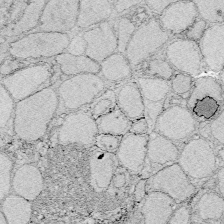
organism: Zebrafish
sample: Whole-Brain